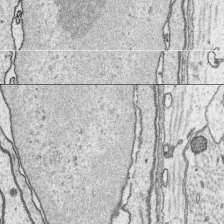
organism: Platynereis dumerilii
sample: Parapodia